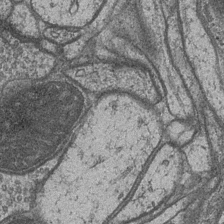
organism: Drosophila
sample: Optic medulla